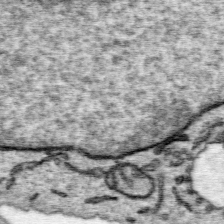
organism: Human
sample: HeLa cells